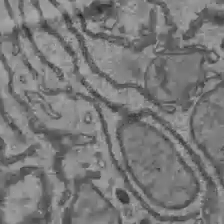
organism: C57BL Mouse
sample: Liver